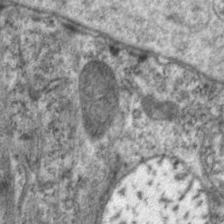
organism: C. elegans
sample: Pharynx